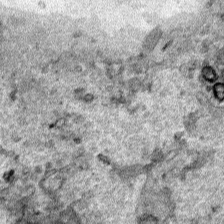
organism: Human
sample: Mitochondria in HCT116 cells